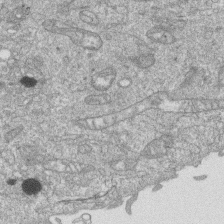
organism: Human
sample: HeLa cell HIV synapse